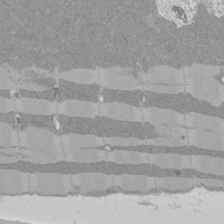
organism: Rat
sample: Left ventricle